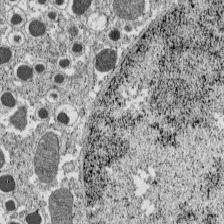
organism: C57BL Mouse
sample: Pancreatic islet